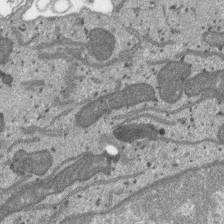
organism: Human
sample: Lung epithelial cells infected with SARS-CoV-2